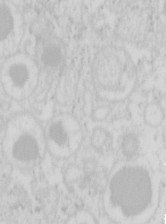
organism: Mouse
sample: Pancreas